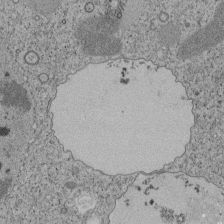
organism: Tetrahymena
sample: Cilia in tetrahymena